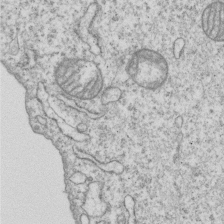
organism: Human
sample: MDA-MB-231 cells